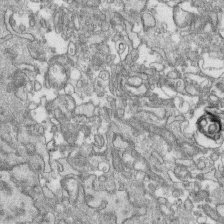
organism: Human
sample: CRL-1474